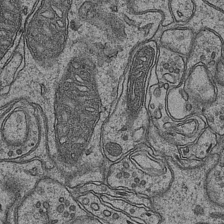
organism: Mouse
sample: CA1 Hippocampus